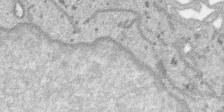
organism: Human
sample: Lung epithelial cells infected with SARS-CoV-2